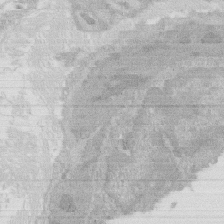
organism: Rat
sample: Salivary granule